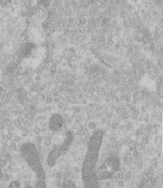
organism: Human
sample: Centriole in RPE cells